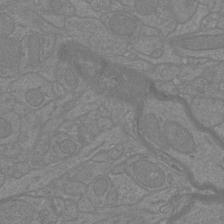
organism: Mouse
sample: Cortical neurons